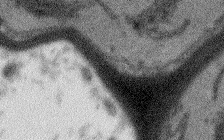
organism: Arabidopsis thaliana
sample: Root tip